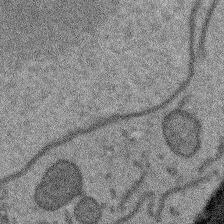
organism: Arabidopsis thaliana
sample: Root tip